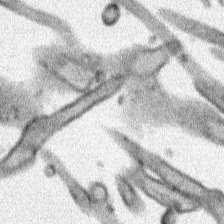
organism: Human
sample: Mitochondria in HCT116 cells